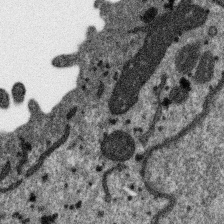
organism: Human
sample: Lung epithelial cells infected with SARS-CoV-2